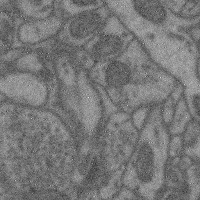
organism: Mouse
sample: Cerebral cortex